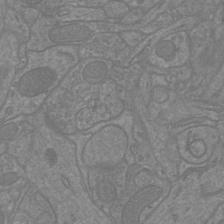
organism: Mouse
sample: Cortical neurons